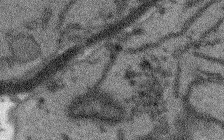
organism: Arabidopsis thaliana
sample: Root tip